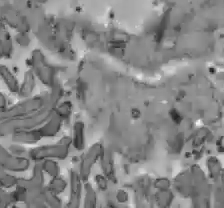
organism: C57BL Mouse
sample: Liver